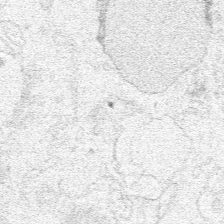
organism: Human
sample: Mitochondria in HCT116 cells